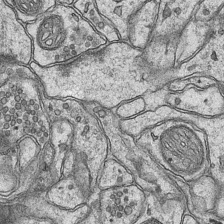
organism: Mouse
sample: CA1 Hippocampus